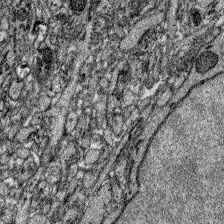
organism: Zebrafish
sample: Larval olfactory bulb